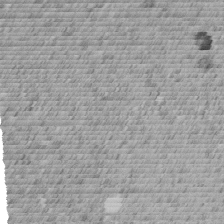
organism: C. elegans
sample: C. elegans embryo early stage